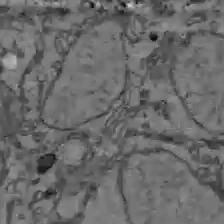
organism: C57BL Mouse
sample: Liver